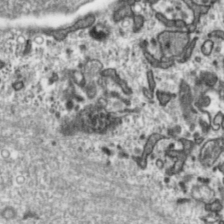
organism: Toxoplasma gondii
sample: Parasites in a vacuole inside a host cell